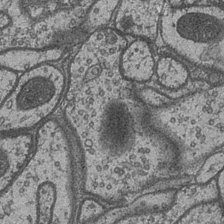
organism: Drosophila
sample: Optic medulla